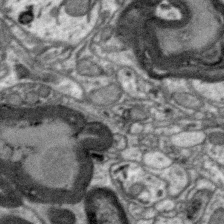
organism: Zebra finch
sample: Brain